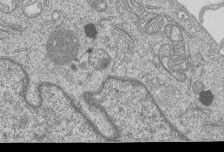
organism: Human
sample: MDA-MB-231 cells